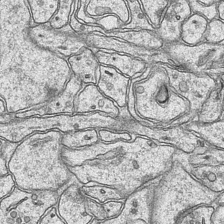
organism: Mouse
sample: CA1 Hippocampus